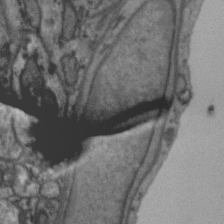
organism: Zebra finch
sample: Brain